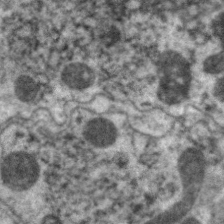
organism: C. elegans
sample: Pharynx